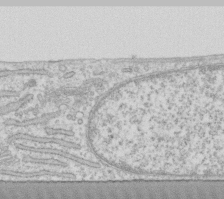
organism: Human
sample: Fibroblast cells